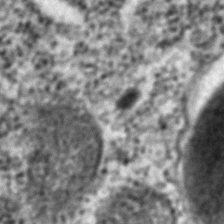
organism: C. elegans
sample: C. elegans embryo